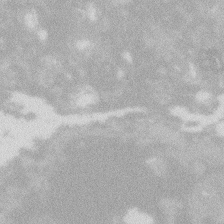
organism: Zebrafish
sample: Macrophage